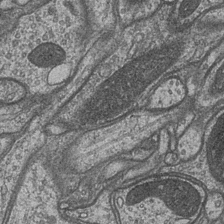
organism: Drosophila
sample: Optic medulla